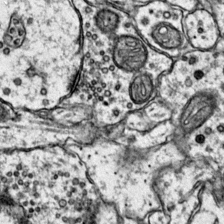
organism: Mouse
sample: Primary visual cortex